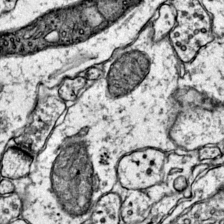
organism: Mouse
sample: Primary visual cortex